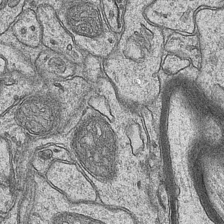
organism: Mouse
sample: CA1 Hippocampus